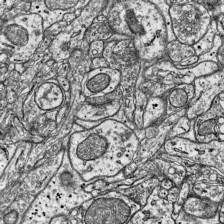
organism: Mouse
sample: Visual Cortex